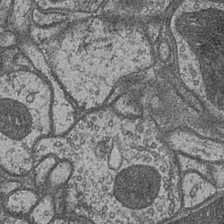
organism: Drosophila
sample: Optic medulla